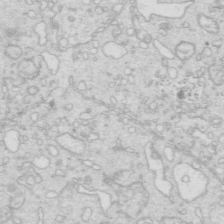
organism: Mouse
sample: Multiciliated cells